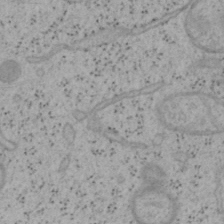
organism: Human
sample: HeLa cells